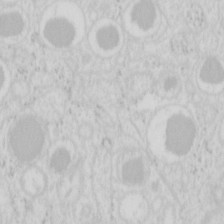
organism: Mouse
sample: Pancreas